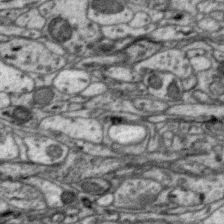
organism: Zebra finch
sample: Brain